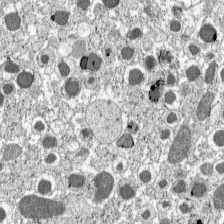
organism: C57BL Mouse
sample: Pancreatic islet